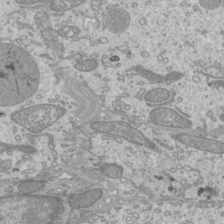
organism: Mouse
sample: Cilia; mouse epididymis